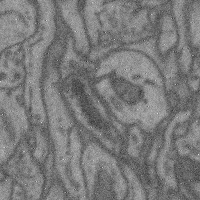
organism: Mouse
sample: Cerebral cortex